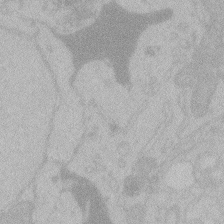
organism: Zebrafish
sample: Macrophage infected with Toxoplasma gondii